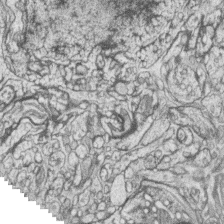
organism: Zebrafish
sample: synaptic ribbons in rod cells and cone cells